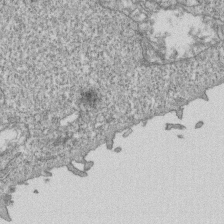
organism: Human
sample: HeLa cell HIV synapse